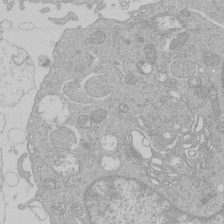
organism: Human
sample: Macrophage cells